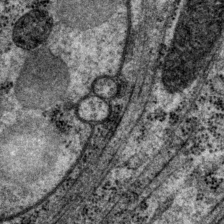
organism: P. pacificus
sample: Pharynx